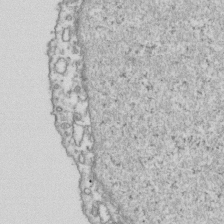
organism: Human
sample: Activated Jurkat CD4+ T cells